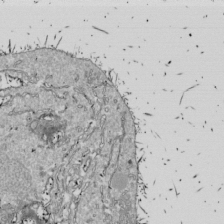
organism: Drosophila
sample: Cell division; meiosis; drosophila spermatocytes